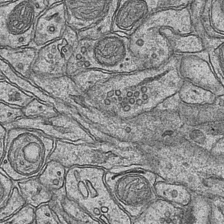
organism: Mouse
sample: CA1 Hippocampus